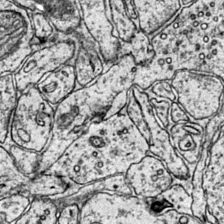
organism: Mouse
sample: Primary visual cortex